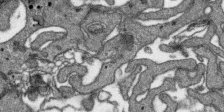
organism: Human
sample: Lung epithelial cells, uninfected (mock) control